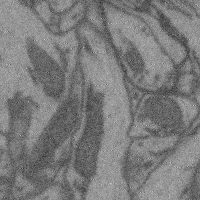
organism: Mouse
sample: Cerebral cortex